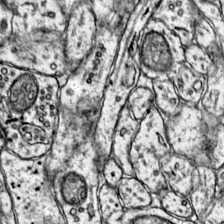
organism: Mouse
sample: Primary visual cortex